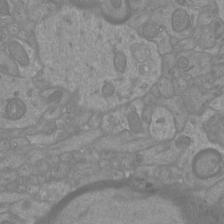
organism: Mouse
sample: Cortical neurons